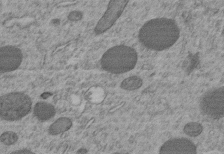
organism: C. elegans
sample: C. elegans embryo early stage